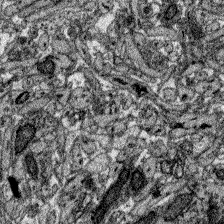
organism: Zebrafish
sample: Larval olfactory bulb